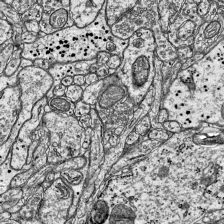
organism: Mouse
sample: Visual Cortex